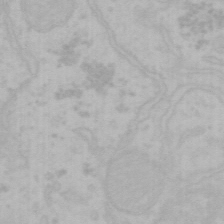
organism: Mouse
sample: Choroid plexus